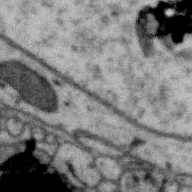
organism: Zebra finch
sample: Brain